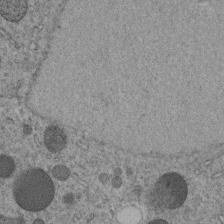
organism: C. elegans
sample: C. elegans embryo early stage